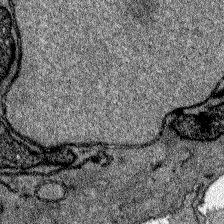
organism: Zebrafish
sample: Larval olfactory bulb